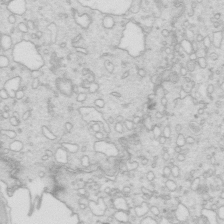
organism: Mouse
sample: Multiciliated cells